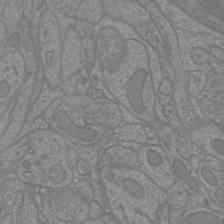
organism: Mouse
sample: Cortical neurons